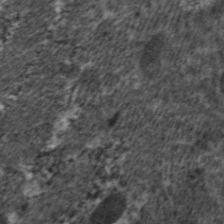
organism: C. elegans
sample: Pharynx